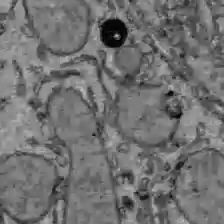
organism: C57BL Mouse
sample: Liver